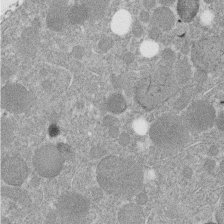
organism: C. elegans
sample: C. elegans embryo early stage